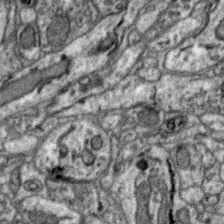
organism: Zebra finch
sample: Brain